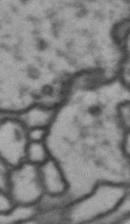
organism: Drosophila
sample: Brain